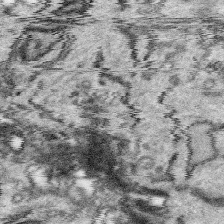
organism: Human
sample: HeLa cells